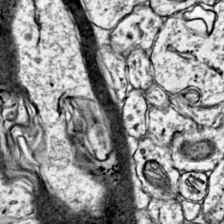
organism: Mouse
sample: Primary visual cortex